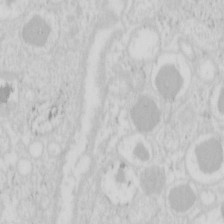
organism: Mouse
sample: Pancreas